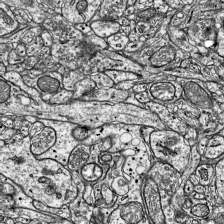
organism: Mouse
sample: Visual Cortex